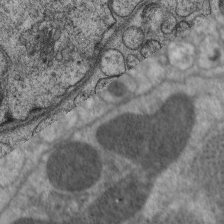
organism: C. elegans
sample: Pharynx